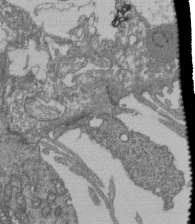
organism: Human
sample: Retinal organoid Rod and Cone cells